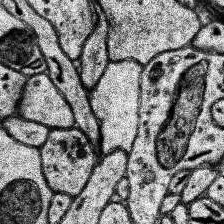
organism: Human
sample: Temporal Lobe